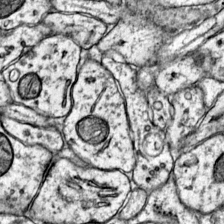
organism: Mouse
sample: Primary visual cortex